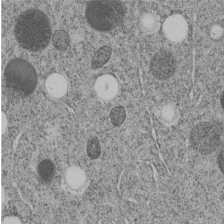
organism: C. elegans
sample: C. elegans embryo early stage